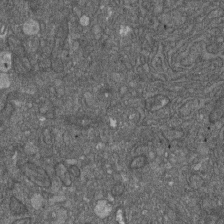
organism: Drosophila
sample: Nephrocyte